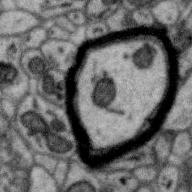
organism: Zebra finch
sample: Brain